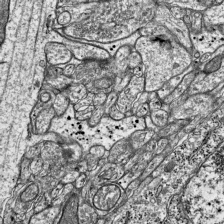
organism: Mouse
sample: Visual Cortex